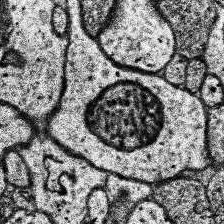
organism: Human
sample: Temporal Lobe